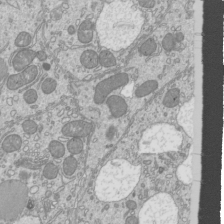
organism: Mouse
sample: Cilia; mouse epididymis